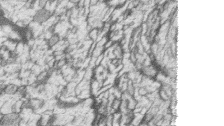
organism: Zebrafish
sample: synaptic ribbons in rod cells and cone cells